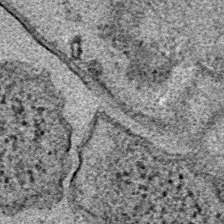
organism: E. coli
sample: E. Coli Bacteria